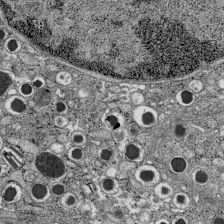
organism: C57BL Mouse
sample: Pancreatic islet